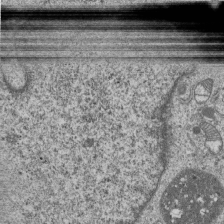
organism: Human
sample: MDA-MB-231 cells